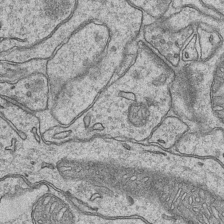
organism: Mouse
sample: CA1 Hippocampus